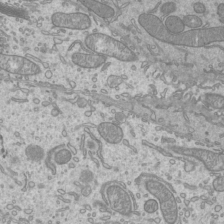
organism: Mouse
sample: Cilia; mouse epididymis